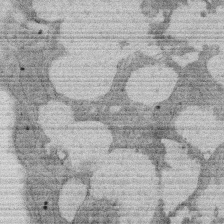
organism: Rat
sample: Salivary granule